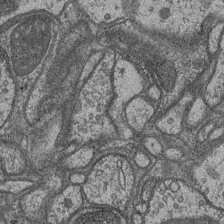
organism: Drosophila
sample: Optic medulla